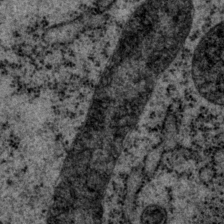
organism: P. pacificus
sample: Pharynx